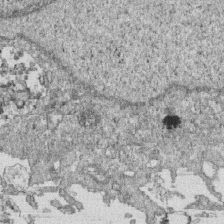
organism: Human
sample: HeLa cell HIV synapse